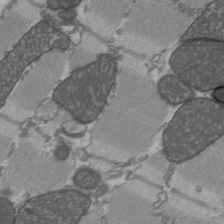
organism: C57BL Mouse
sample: Heart